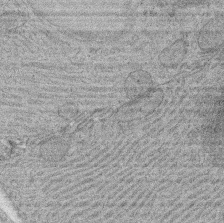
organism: Rat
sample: Salivary granule